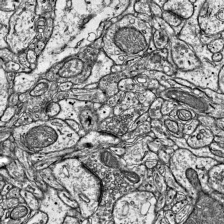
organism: Mouse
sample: Visual Cortex